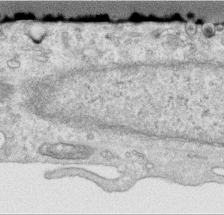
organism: Human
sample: Centriole in RPE cells